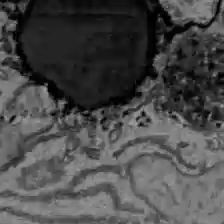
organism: C57BL Mouse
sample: Liver